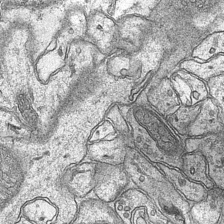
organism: Mouse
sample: CA1 Hippocampus